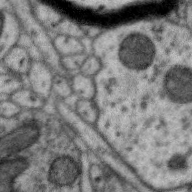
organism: Zebra finch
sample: Brain